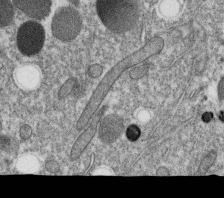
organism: C. elegans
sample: C. elegans oocyte; sperm cells